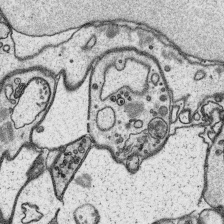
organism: Platynereis dumerilii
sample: Parapodia